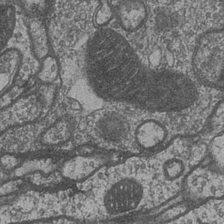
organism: Drosophila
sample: Optic medulla